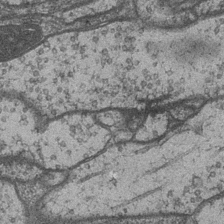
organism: Drosophila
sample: Optic medulla